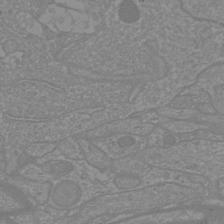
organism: Mouse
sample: Cortical neurons